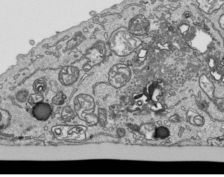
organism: Human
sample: Mitochondria in HCT116 cells